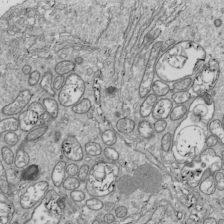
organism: Drosophila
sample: Cell division; meiosis; drosophila spermatocytes